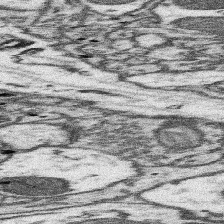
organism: Mouse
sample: Somatosensory cortex neuropil